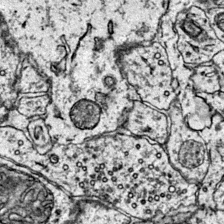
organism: Mouse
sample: Primary visual cortex